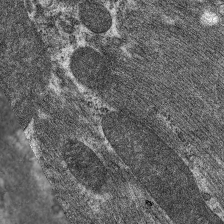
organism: C. elegans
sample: Pharynx